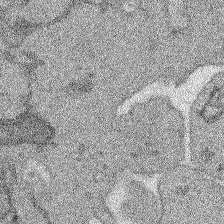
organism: Human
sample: HeLa cells